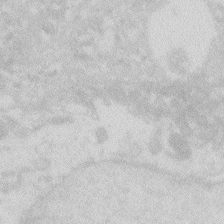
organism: Zebrafish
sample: Macrophage